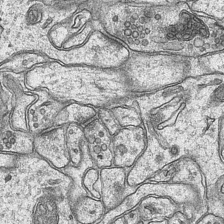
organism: Mouse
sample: CA1 Hippocampus